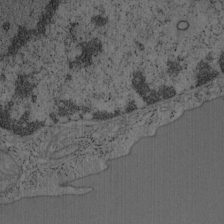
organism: Mouse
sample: OT-I killer T cells with ID8 ovarian cancer cells